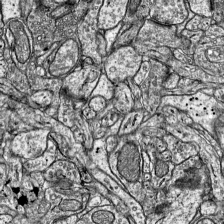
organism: Mouse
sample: Visual Cortex